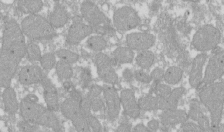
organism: Xenopus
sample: Cilia; centrioles in frog embryo cells